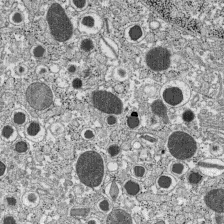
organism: C57BL Mouse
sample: Pancreatic islet